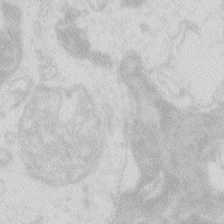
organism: Zebrafish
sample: Macrophage